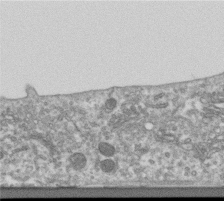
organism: Human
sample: Centriole in RPE cells